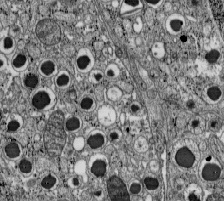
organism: C57BL Mouse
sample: Pancreatic islet